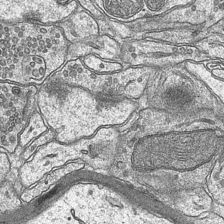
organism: Mouse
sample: CA1 Hippocampus